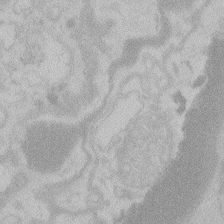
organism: Zebrafish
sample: Macrophage infected with Toxoplasma gondii